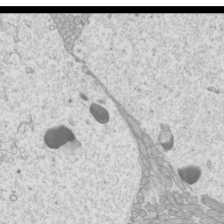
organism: Mouse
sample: Cilia; mouse epididymis